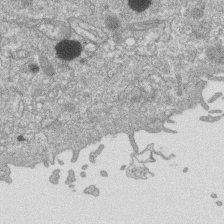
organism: Human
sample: HeLa cell HIV synapse